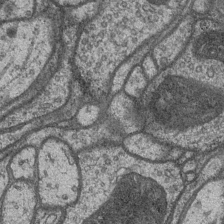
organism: Drosophila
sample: Optic medulla